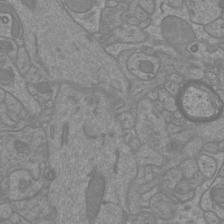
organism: Mouse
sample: Cortical neurons